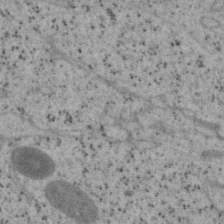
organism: Human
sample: HeLa cells